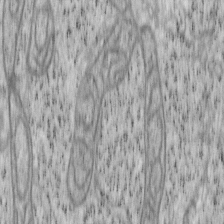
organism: Human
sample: HeLa cells